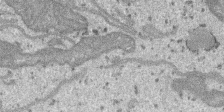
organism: Human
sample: Lung epithelial cells infected with SARS-CoV-2